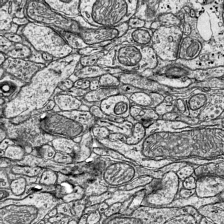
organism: Mouse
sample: Visual Cortex